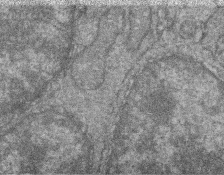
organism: Zebrafish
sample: Cilia; retinal pigment epithelium